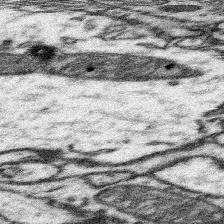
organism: Mouse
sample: Somatosensory cortex neuropil